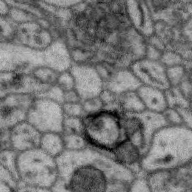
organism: Zebra finch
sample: Brain